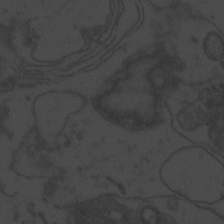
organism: Zebrafish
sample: Macrophage infected with Toxoplasma gondii